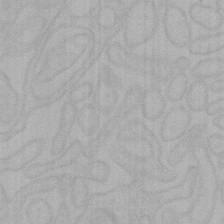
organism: Mouse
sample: Choroid plexus